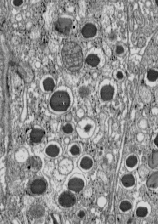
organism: C57BL Mouse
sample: Pancreatic islet